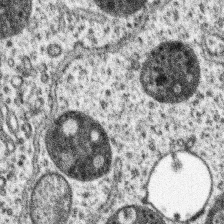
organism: Human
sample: HeLa cells